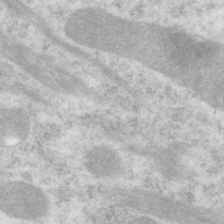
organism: P. pacificus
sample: Pharynx